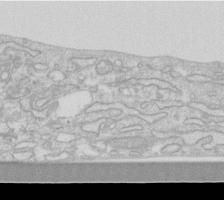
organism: Human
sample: Fibroblast cells